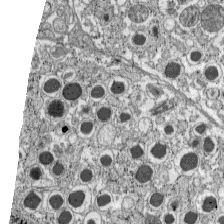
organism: C57BL Mouse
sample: Pancreatic islet